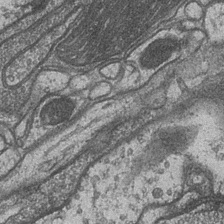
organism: Drosophila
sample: Optic medulla